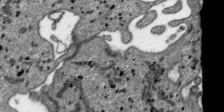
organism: Human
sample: Lung epithelial cells, uninfected (mock) control